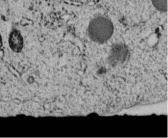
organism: C. elegans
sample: C. elegans embryo early stage